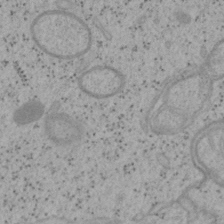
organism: Human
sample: HeLa cells